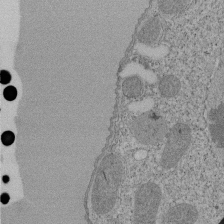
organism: Tetrahymena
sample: Cilia in tetrahymena